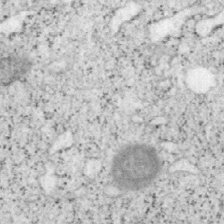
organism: Mouse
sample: OT-I killer T cells with ID8 ovarian cancer cells